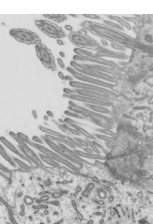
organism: Mouse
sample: Mouse epididymis efferent ductule cilia